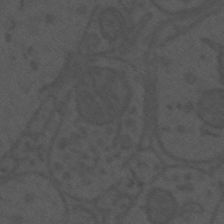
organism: Mouse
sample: Suprachiasmatic nucleus